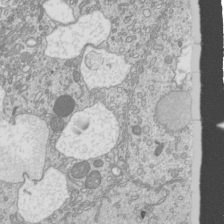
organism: Mouse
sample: Cilia; mouse epididymis